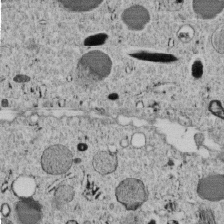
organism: C. elegans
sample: C. elegans embryo early stage